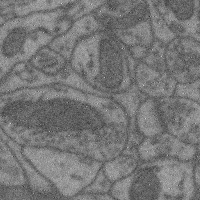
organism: Mouse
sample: Cerebral cortex